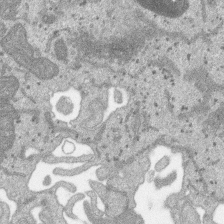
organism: Human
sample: Lung epithelial cells infected with SARS-CoV-2